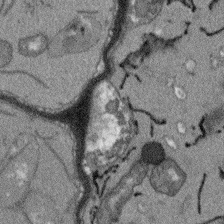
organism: Arabidopsis thaliana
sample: Root tip